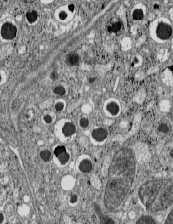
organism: C57BL Mouse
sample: Pancreatic islet